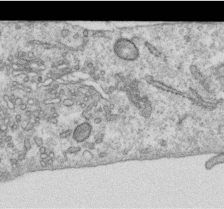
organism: Human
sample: Centriole in RPE cells